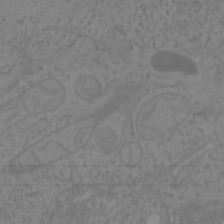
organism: Human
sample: HeLa cells